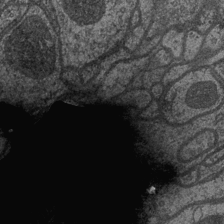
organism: Drosophila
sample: Optic medulla